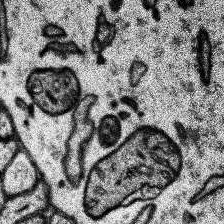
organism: Human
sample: Temporal Lobe